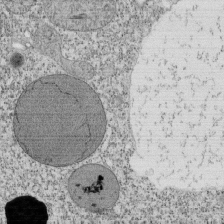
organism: Tetrahymena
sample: Cilia in tetrahymena